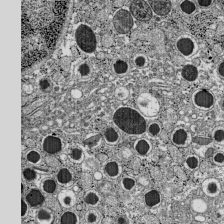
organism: C57BL Mouse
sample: Pancreatic islet